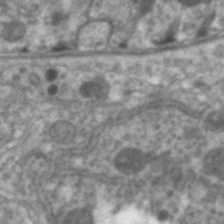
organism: C. elegans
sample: Pharynx